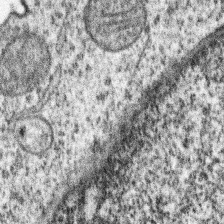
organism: Human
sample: HeLa cells